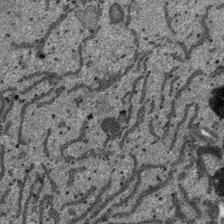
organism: Human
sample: Lung epithelial cells infected with SARS-CoV-2